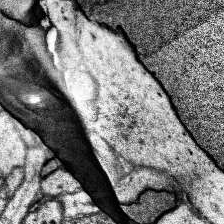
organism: Human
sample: Temporal Lobe